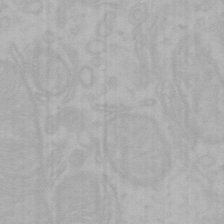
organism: Mouse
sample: Choroid plexus